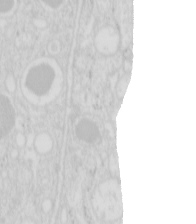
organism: Mouse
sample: Pancreas